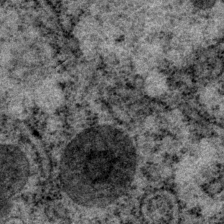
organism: P. pacificus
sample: Pharynx